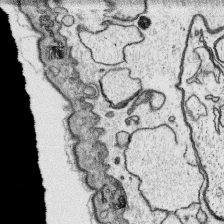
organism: Platynereis dumerilii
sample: Parapodia